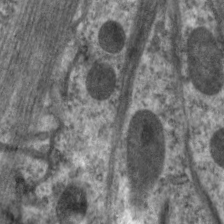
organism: C. elegans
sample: Pharynx